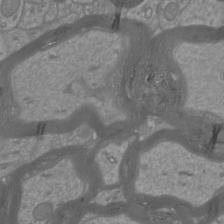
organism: Mouse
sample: Cortical neurons